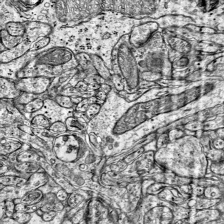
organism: Mouse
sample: Visual Cortex